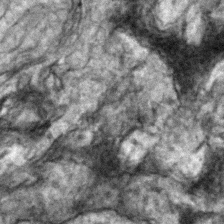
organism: Zebrafish